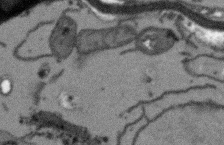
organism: Arabidopsis thaliana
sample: Root tip